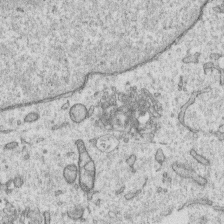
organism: Human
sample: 1205lu cells